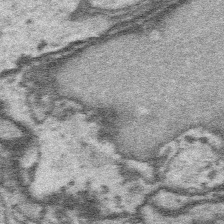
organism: Platynereis dumerilii